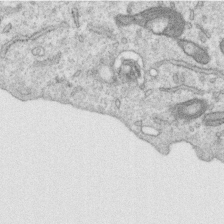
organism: Human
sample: Centriole in RPE cells